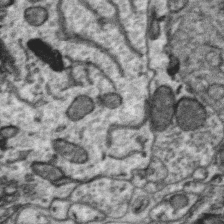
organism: Zebra finch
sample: Brain